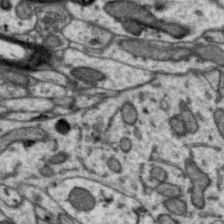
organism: Zebra finch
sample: Brain